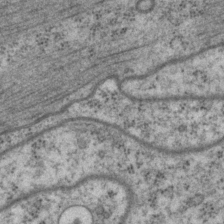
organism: P. pacificus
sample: Pharynx